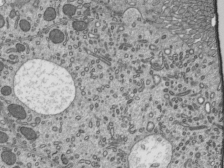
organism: Mouse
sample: Mouse epididymis efferent ductule cilia